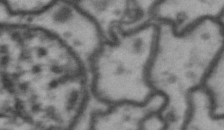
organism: Drosophila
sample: Brain